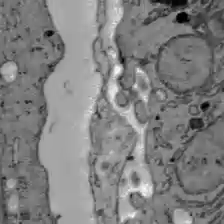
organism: C57BL Mouse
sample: Liver